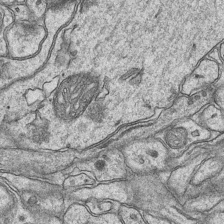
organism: Mouse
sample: CA1 Hippocampus